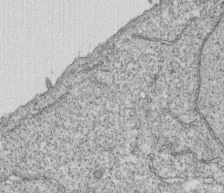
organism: Human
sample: HeLa cell HIV synapse